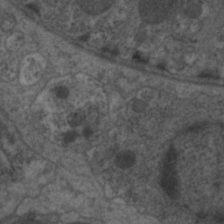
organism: C. elegans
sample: Pharynx